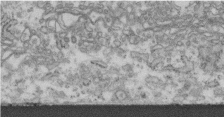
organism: Human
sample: Centriole in fibroblast cells